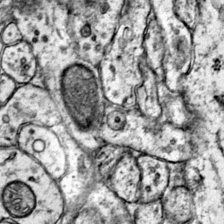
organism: Mouse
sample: Primary visual cortex